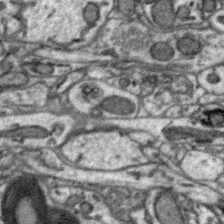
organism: Zebra finch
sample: Brain